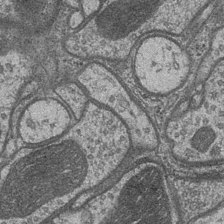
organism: Drosophila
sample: Optic medulla